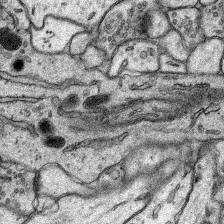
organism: Rat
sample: Hippocampus